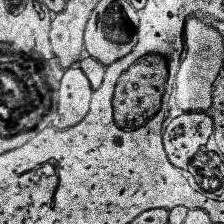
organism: Human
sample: Temporal Lobe